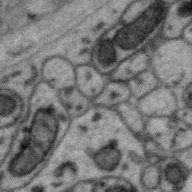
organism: Zebra finch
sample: Brain